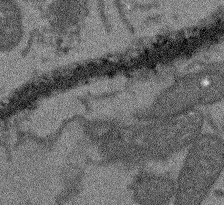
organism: Arabidopsis thaliana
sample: Root tip